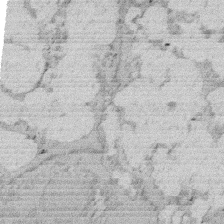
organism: Rat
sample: Salivary granule